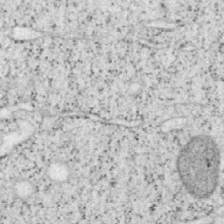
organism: Mouse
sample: OT-I killer T cells with ID8 ovarian cancer cells